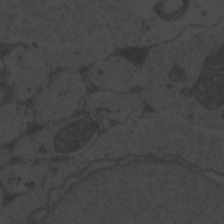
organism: Zebrafish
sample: Macrophage infected with Toxoplasma gondii